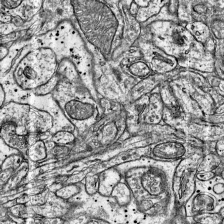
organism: Mouse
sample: Visual Cortex